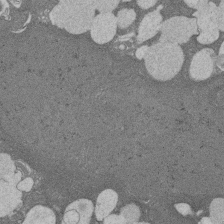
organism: Rat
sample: Salivary granule